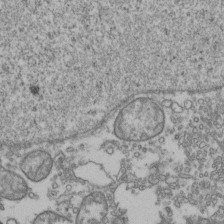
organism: Human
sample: Activated Jurkat CD4+ T cells